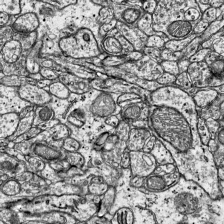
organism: Mouse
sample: Visual Cortex